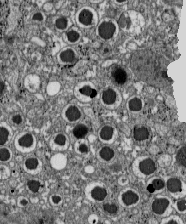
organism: C57BL Mouse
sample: Pancreatic islet